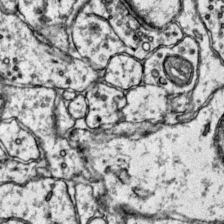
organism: Mouse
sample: Primary visual cortex